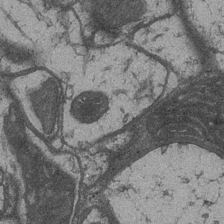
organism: Drosophila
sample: Optic medulla